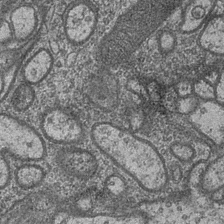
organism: Drosophila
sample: Optic medulla